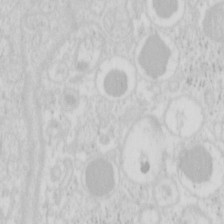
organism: Mouse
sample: Pancreas